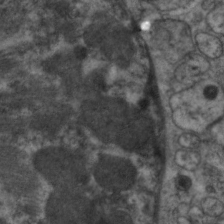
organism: C. elegans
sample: Pharynx